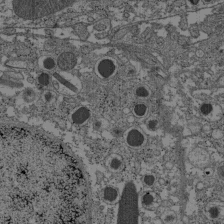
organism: C57BL Mouse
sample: Pancreatic islet